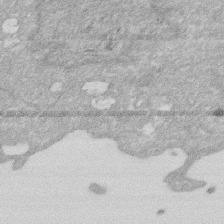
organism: Human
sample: HIV infected U937 cells